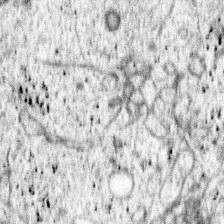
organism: Human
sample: HeLa cells